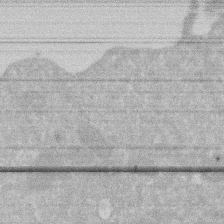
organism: Human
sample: HIV infected U937 cells